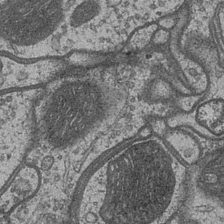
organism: Drosophila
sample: Optic medulla